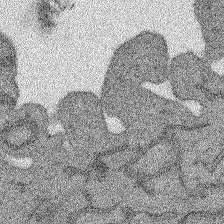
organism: Human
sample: HeLa cells